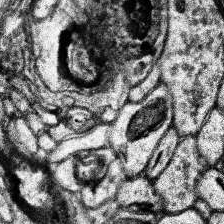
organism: Human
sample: Temporal Lobe